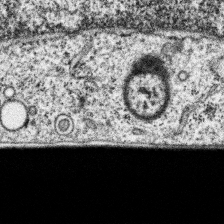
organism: Human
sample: HeLa cells